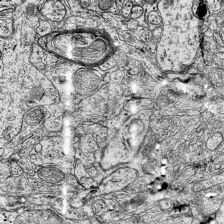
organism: Mouse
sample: Visual Cortex